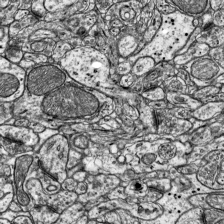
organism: Mouse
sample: Visual Cortex